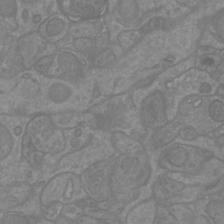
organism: Mouse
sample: Cortical neurons